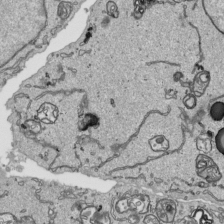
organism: Human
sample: Mitochondria in HCT116 cells